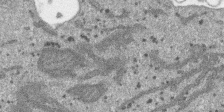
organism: Human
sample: Lung epithelial cells infected with SARS-CoV-2